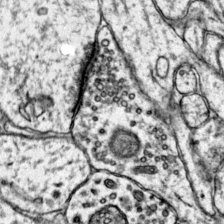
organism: Mouse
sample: Primary visual cortex